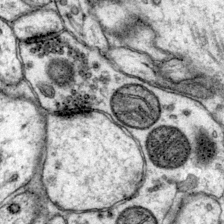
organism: Mouse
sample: Primary visual cortex